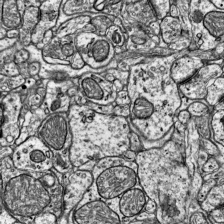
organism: Mouse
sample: Visual Cortex